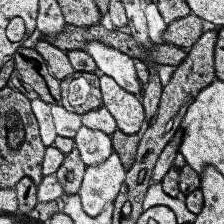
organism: Human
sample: Temporal Lobe